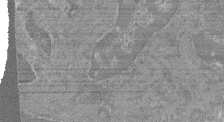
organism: Mouse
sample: Glomerulus